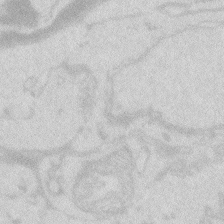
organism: Zebrafish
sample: Macrophage